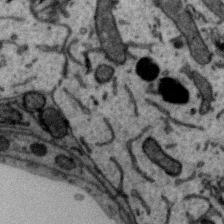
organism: Zebra finch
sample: Brain